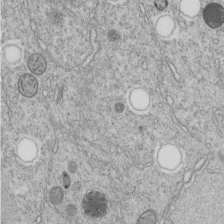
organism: C. elegans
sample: C. elegans embryo early stage